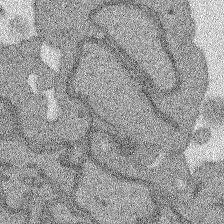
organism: Human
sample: HeLa cells